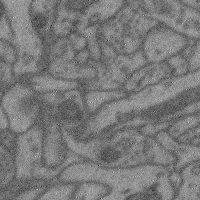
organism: Mouse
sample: Cerebral cortex